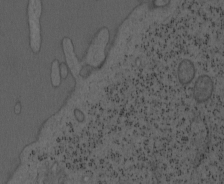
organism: Mouse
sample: OT-I killer T cells with ID8 ovarian cancer cells